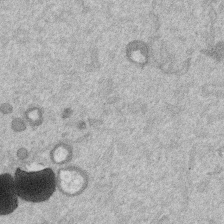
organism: Mouse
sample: Dividing mouse embryo 1 cell stage